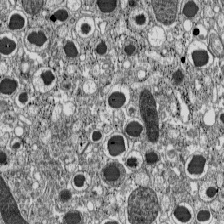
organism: C57BL Mouse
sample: Pancreatic islet